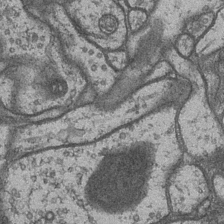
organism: Drosophila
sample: Optic medulla